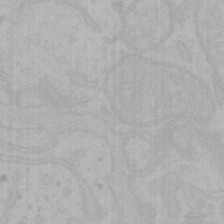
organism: Mouse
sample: Choroid plexus